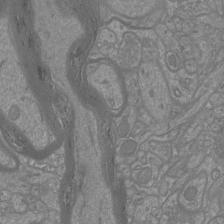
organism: Mouse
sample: Cortical neurons